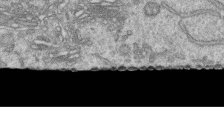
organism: Human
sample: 1205lu cells